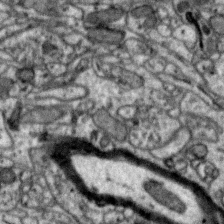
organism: Zebra finch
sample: Brain